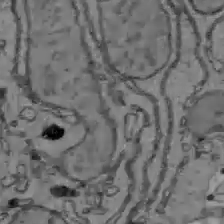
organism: C57BL Mouse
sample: Liver